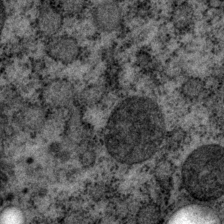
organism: P. pacificus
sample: Pharynx